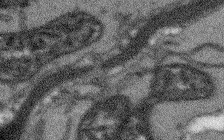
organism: Arabidopsis thaliana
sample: Root tip